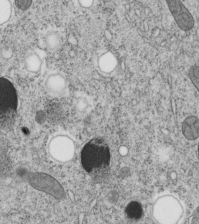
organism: C. elegans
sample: C. elegans embryo early stage